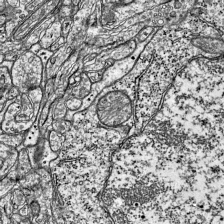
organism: Mouse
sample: Visual Cortex